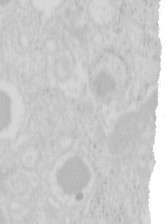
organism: Mouse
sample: Pancreas